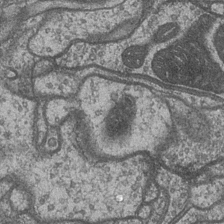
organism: Drosophila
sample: Optic medulla